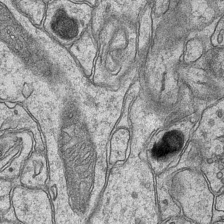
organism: Mouse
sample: CA1 Hippocampus